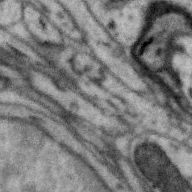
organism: Zebra finch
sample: Brain